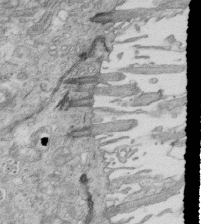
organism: Mouse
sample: Multiciliated cells